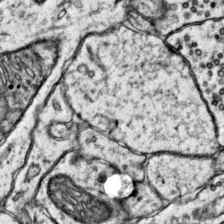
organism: Mouse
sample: Primary visual cortex